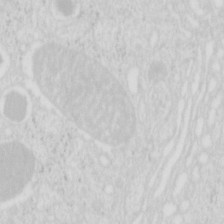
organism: Mouse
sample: Pancreas